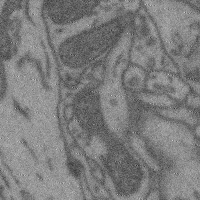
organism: Mouse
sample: Cerebral cortex